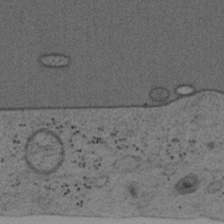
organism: Human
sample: HeLa cells